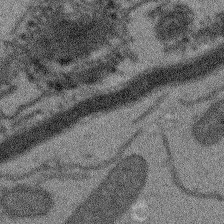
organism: Arabidopsis thaliana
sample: Root tip